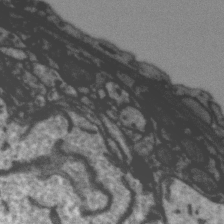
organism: Zebra finch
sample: Brain